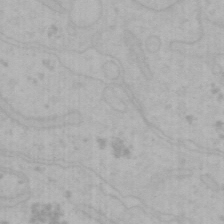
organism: Mouse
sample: Choroid plexus